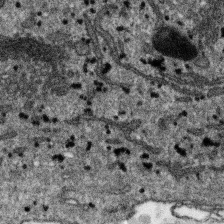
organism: Human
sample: Lung epithelial cells infected with SARS-CoV-2